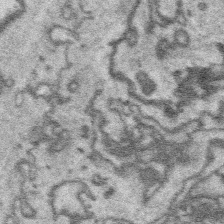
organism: Platynereis dumerilii